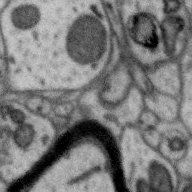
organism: Zebra finch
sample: Brain